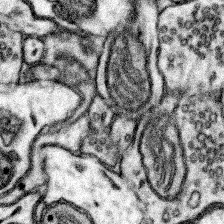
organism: Mouse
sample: Somatosensory cortex neuropil